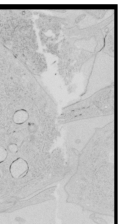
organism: Human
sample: Mitochondria in HCT116 cells